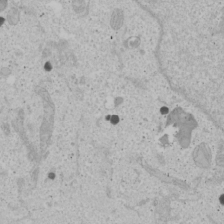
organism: Human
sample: Mitochondria in U2OS cells